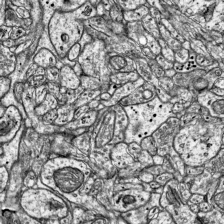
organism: Mouse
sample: Visual Cortex